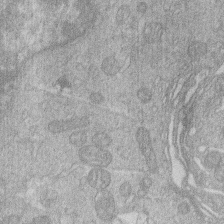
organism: Human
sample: Macrophage cells